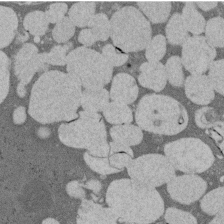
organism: Rat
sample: Salivary granule